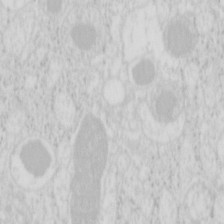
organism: Mouse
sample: Pancreas